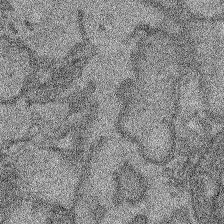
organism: Human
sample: HeLa cells